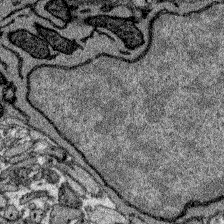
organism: Zebrafish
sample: Larval olfactory bulb